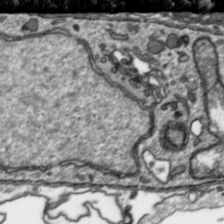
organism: Toxoplasma gondii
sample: Parasites in a vacuole inside a host cell